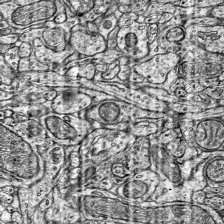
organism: Mouse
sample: Visual Cortex